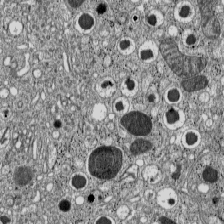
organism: C57BL Mouse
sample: Pancreatic islet